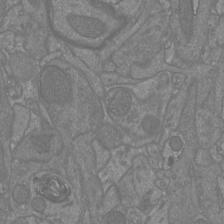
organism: Mouse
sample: Cortical neurons